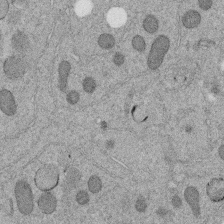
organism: C. elegans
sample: C. elegans embryo early stage